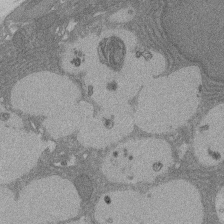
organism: Rat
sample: Salivary granule